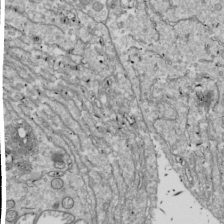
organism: Drosophila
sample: Cell division; meiosis; drosophila spermatocytes